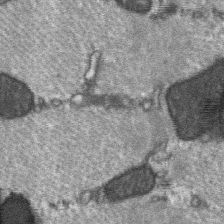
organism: C57BL Mouse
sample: Soleus